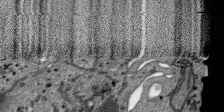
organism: Human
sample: Lung epithelial cells, uninfected (mock) control